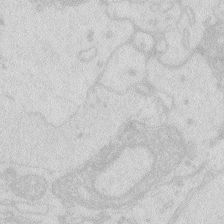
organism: Zebrafish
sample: Macrophage